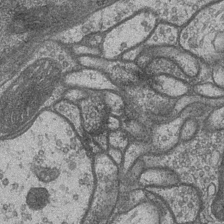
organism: Drosophila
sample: Optic medulla